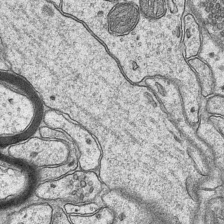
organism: Mouse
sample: CA1 Hippocampus